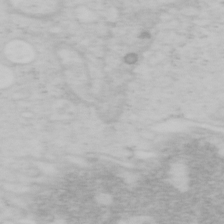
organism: Mouse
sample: OT-I killer T cells with ID8 ovarian cancer cells